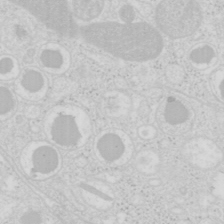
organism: Mouse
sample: Pancreas